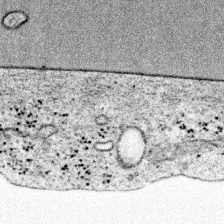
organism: Human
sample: HeLa cells